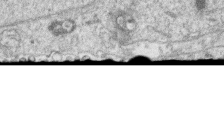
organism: Human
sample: HeLa cell HIV synapse